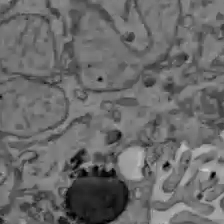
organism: C57BL Mouse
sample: Liver